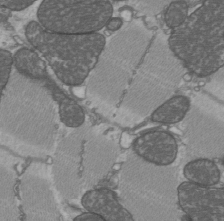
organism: C57BL Mouse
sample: Heart